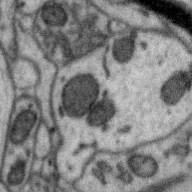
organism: Zebra finch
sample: Brain